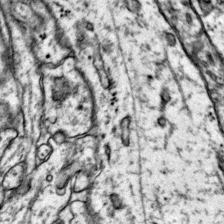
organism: Mouse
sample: Primary visual cortex